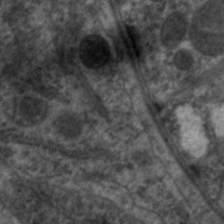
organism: C. elegans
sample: Pharynx